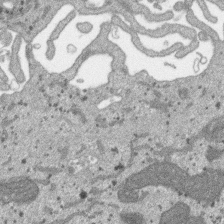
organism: Human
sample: Lung epithelial cells infected with SARS-CoV-2